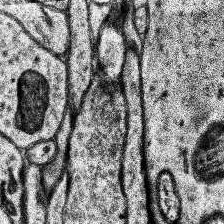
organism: Human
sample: Temporal Lobe